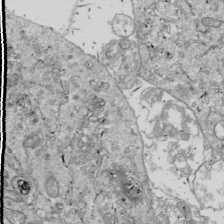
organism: Drosophila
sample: Cell division; meiosis; drosophila spermatocytes